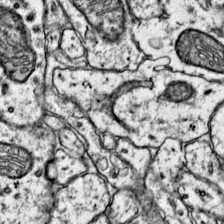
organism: Mouse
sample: Primary visual cortex